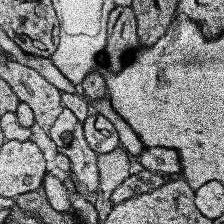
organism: Human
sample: Temporal Lobe